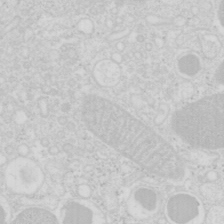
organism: Mouse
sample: Pancreas